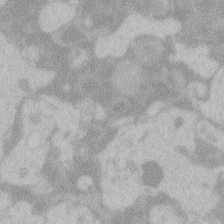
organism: Zebrafish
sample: Macrophage infected with Toxoplasma gondii